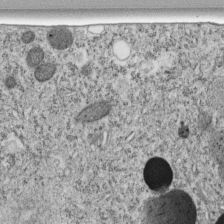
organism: C. elegans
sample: C. elegans embryo early stage